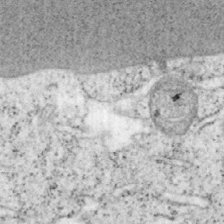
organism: Mouse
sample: OT-I killer T cells with ID8 ovarian cancer cells